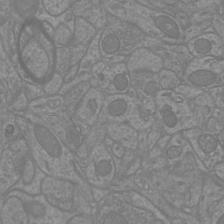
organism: Mouse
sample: Cortical neurons